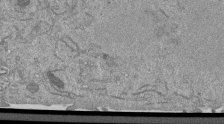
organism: Mouse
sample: ED-1 cell nuclei; centrioles